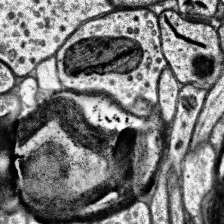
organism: Human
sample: Temporal Lobe